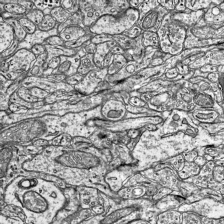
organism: Mouse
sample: Visual Cortex